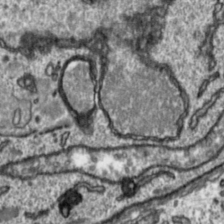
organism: Toxoplasma gondii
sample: Parasites in a vacuole inside a host cell